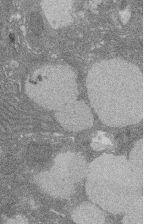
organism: Rat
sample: Salivary granule